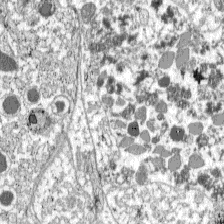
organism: C57BL Mouse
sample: Pancreatic islet